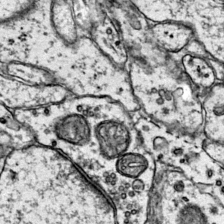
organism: Mouse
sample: Primary visual cortex